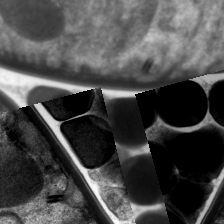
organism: C. elegans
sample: Pharynx